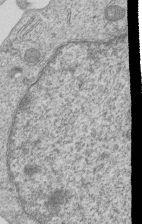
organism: Human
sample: MDA-MB-231 cells